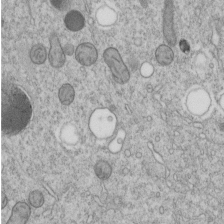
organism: C. elegans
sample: C. elegans embryo early stage